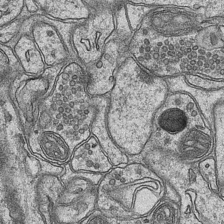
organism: Mouse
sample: CA1 Hippocampus